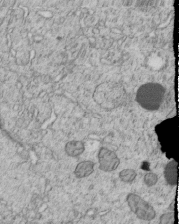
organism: C. elegans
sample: C. elegans embryo early stage